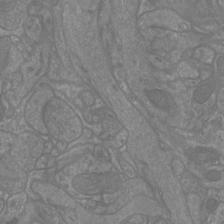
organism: Mouse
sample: Cortical neurons